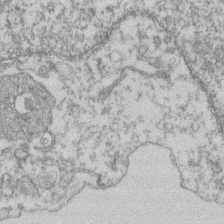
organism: Mouse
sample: T cell stromal cell synapse